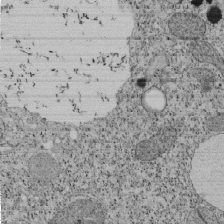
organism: Tetrahymena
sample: Cilia in tetrahymena